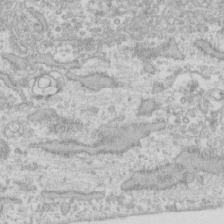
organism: Human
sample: Fibroblast cells